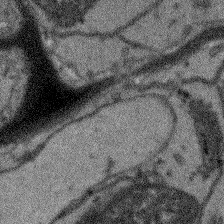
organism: Arabidopsis thaliana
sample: Root tip